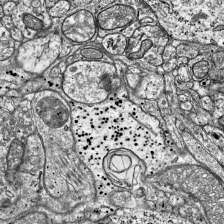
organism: Mouse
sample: Visual Cortex